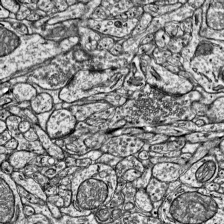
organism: Mouse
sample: Visual Cortex